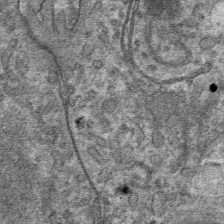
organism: Mouse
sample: Mouse hepatocytes